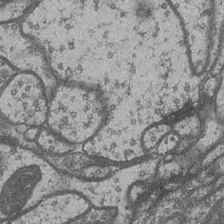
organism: Drosophila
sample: Optic medulla